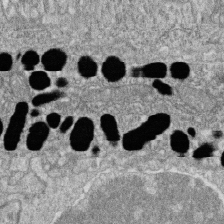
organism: Zebrafish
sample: Cilia; retinal pigment epithelium